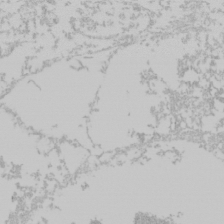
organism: Mouse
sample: Cancer cell death in ED-1 cells